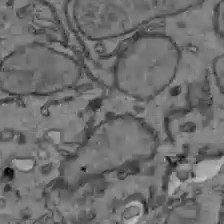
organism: C57BL Mouse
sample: Liver